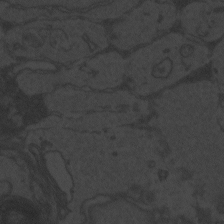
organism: Zebrafish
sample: Macrophage infected with Toxoplasma gondii